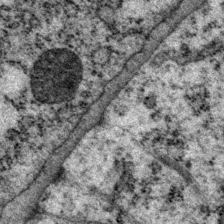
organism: P. pacificus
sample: Pharynx